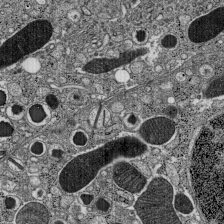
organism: C57BL Mouse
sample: Pancreatic islet